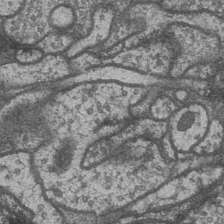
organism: Drosophila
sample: Optic medulla